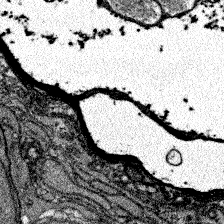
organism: Zebrafish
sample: Larval olfactory bulb